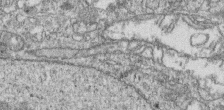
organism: Human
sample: HeLa cell HIV synapse